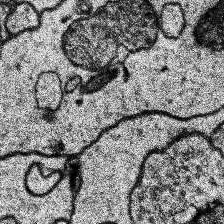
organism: Human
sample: Temporal Lobe